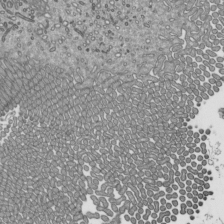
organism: Mouse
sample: Mouse epididymis efferent ductule cilia